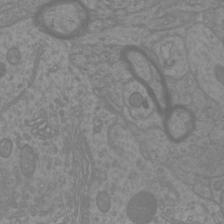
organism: Mouse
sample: Cortical neurons